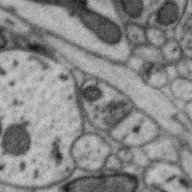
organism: Zebra finch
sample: Brain